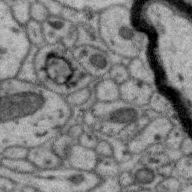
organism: Zebra finch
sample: Brain